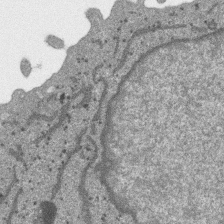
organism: Human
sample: Lung epithelial cells infected with SARS-CoV-2